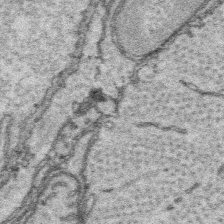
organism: Platynereis dumerilii